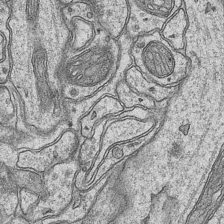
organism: Mouse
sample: CA1 Hippocampus